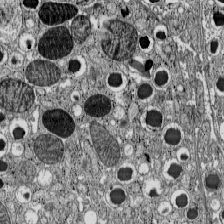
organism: C57BL Mouse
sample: Pancreatic islet